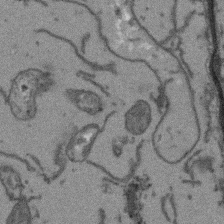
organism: Arabidopsis thaliana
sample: Root tip